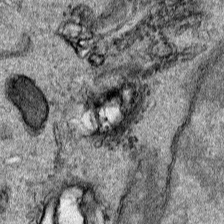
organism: Human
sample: Mitochondria in HCT116 cells